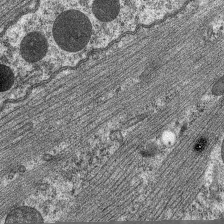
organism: C. elegans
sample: Pharynx